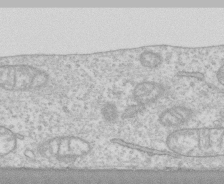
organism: Human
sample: CRL-1474